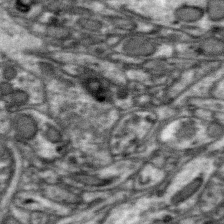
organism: Zebra finch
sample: Brain